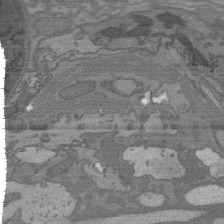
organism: C. elegans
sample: AFD neurons C. elegans